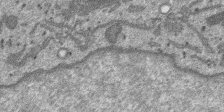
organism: Human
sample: Lung epithelial cells infected with SARS-CoV-2